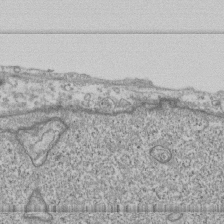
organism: Human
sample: Fibroblast cells